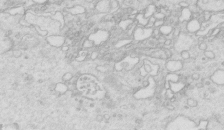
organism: Mouse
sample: Multiciliated cells